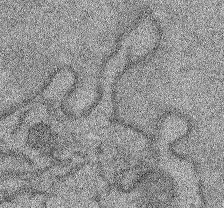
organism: Human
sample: HeLa cells